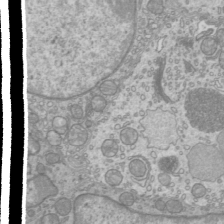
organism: Mouse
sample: Cilia; mouse epididymis